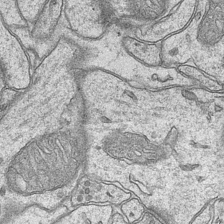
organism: Mouse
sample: CA1 Hippocampus